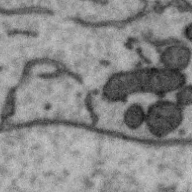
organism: Zebra finch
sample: Brain